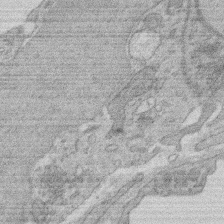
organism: Rat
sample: Salivary granule